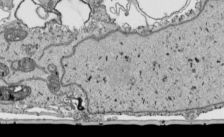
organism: Human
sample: Mitochondria in HCT116 cells